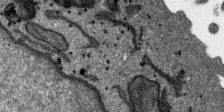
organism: Human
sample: Lung epithelial cells, uninfected (mock) control